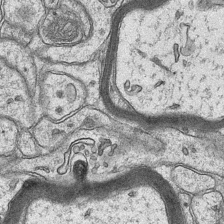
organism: Mouse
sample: CA1 Hippocampus